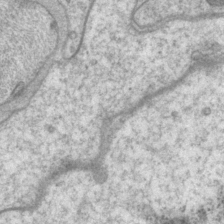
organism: P. pacificus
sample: Pharynx